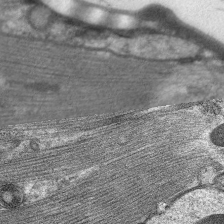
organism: C. elegans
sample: Pharynx